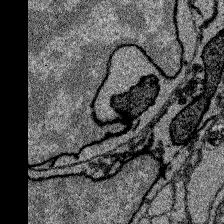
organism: Zebrafish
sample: Larval olfactory bulb